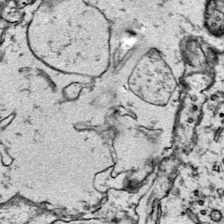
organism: Mouse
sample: Primary visual cortex